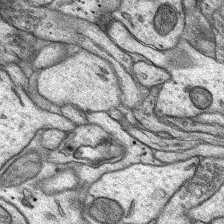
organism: Rat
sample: Hippocampus